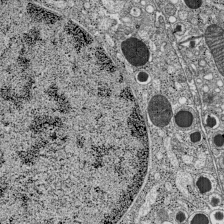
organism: C57BL Mouse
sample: Pancreatic islet